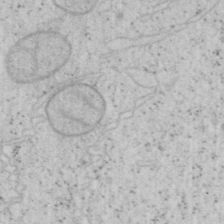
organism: Human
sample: HeLa cells